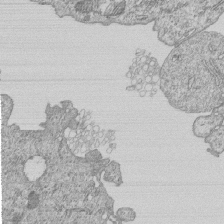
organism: Human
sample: MDA-MB-231 cells